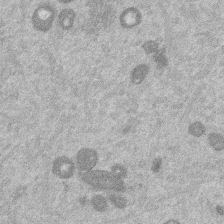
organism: Mouse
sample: Dividing mouse embryo 1 cell stage